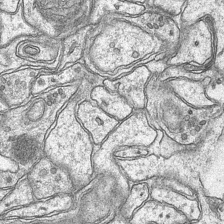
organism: Mouse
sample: CA1 Hippocampus